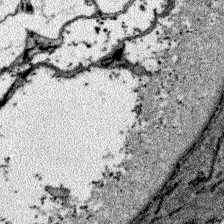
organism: Zebrafish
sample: Larval olfactory bulb